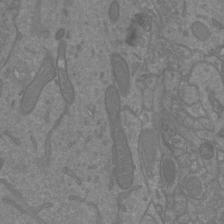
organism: Mouse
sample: Cortical neurons